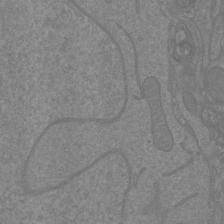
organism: Mouse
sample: Cortical neurons